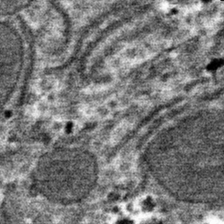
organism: Mouse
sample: Mouse hepatocytes